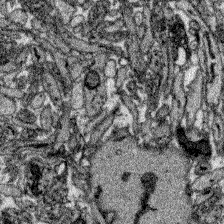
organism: Zebrafish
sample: Larval olfactory bulb